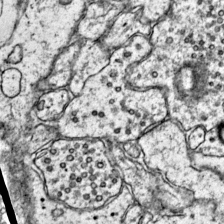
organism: Mouse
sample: Primary visual cortex